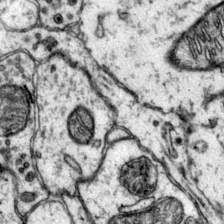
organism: Mouse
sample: Primary visual cortex